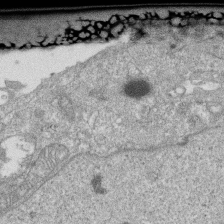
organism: Human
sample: HeLa cell HIV synapse